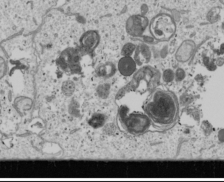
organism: Human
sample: Mitochondria in U2OS cells